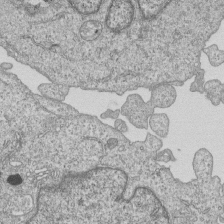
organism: Human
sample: MDA-MB-231 cells